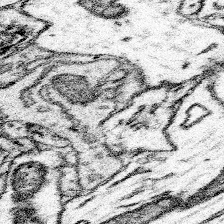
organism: Mouse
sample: Somatosensory cortex neuropil